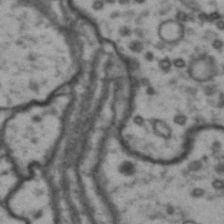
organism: Drosophila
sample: Brain